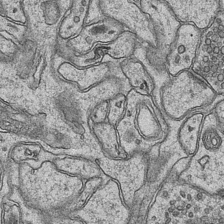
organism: Mouse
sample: CA1 Hippocampus